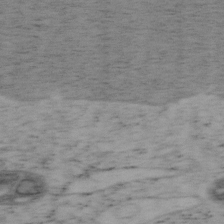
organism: Mouse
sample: OT-I killer T cells with ID8 ovarian cancer cells